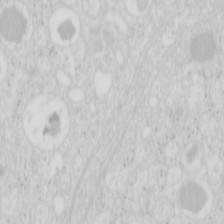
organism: Mouse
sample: Pancreas